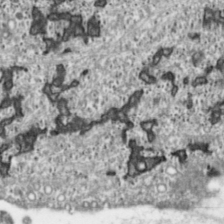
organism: Toxoplasma gondii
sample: Parasites in a vacuole inside a host cell